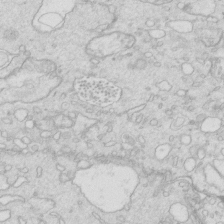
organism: Mouse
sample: Multiciliated cells